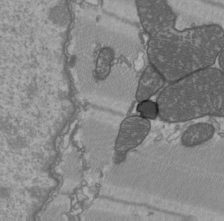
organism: C57BL Mouse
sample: Heart